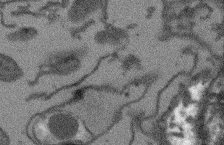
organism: Arabidopsis thaliana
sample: Root tip